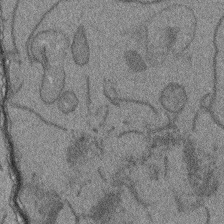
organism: Arabidopsis thaliana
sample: Root tip